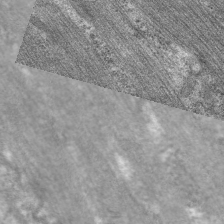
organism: C. elegans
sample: Pharynx